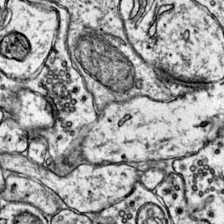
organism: Mouse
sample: Primary visual cortex